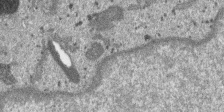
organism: Human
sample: Lung epithelial cells infected with SARS-CoV-2